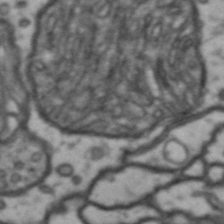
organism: Drosophila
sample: Brain